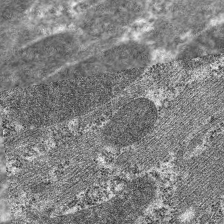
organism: C. elegans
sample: Pharynx